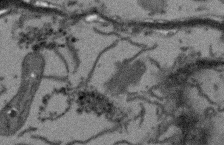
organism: Arabidopsis thaliana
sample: Root tip